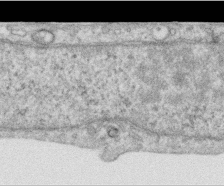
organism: Human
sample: Centriole in RPE cells